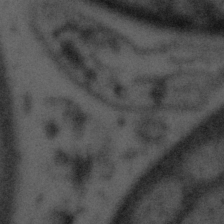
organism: Tuwongella immobilis